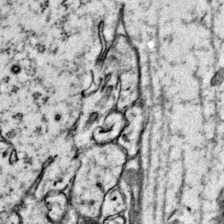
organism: Mouse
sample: Primary visual cortex